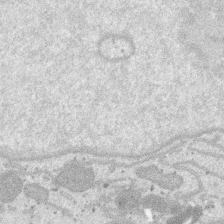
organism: Human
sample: Lung epithelial cells infected with SARS-CoV-2